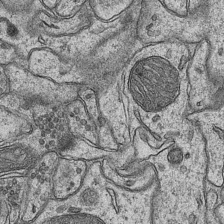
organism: Mouse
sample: CA1 Hippocampus